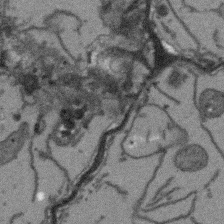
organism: Arabidopsis thaliana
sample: Root tip